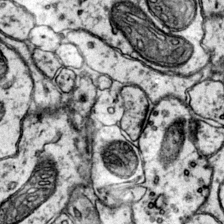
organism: Mouse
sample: Primary visual cortex